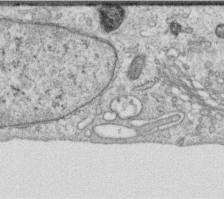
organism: Human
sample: Centriole in RPE cells